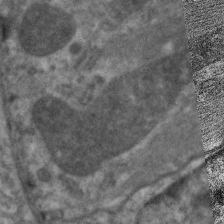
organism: C. elegans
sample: Pharynx